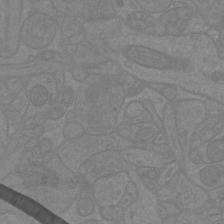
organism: Mouse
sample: Cortical neurons